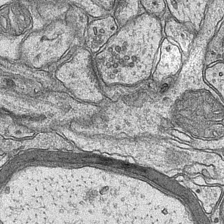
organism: Mouse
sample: CA1 Hippocampus